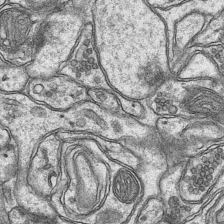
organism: Mouse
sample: CA1 Hippocampus